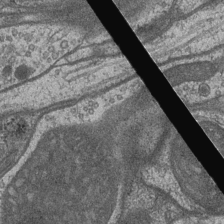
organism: Drosophila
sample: Optic medulla